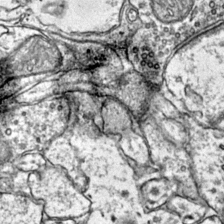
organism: Mouse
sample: Primary visual cortex